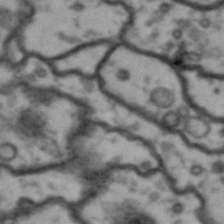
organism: Drosophila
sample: Brain